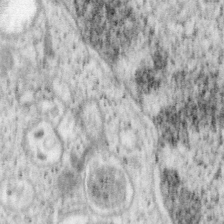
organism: Mouse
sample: OT-I killer T cells with ID8 ovarian cancer cells